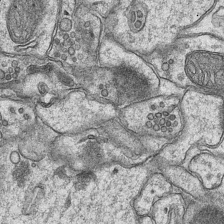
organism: Mouse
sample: CA1 Hippocampus